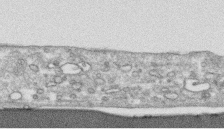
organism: Human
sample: CRL-1474